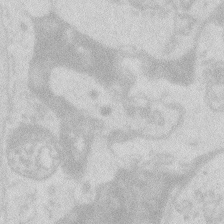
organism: Zebrafish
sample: Macrophage